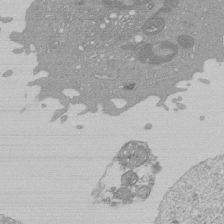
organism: Mouse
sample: Activated Pmel transgenic CD8+ T Cells